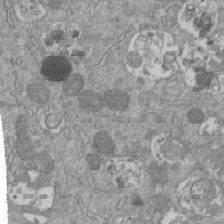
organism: Mouse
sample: ED-1 cell nuclei; centrioles